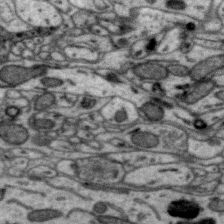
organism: Zebra finch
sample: Brain